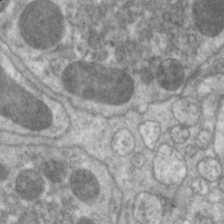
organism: C. elegans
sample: Pharynx